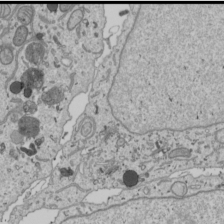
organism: Human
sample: Mitochondria in U2OS cells